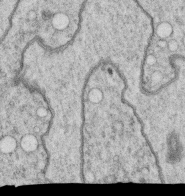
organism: C. elegans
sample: C. elegans oocyte; sperm cells